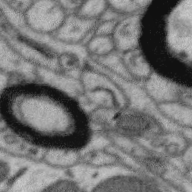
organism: Zebra finch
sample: Brain